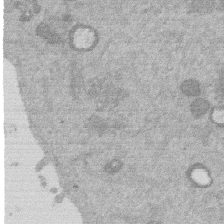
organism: Mouse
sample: Dividing mouse embryo 1 cell stage